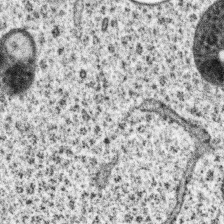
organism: Human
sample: HeLa cells